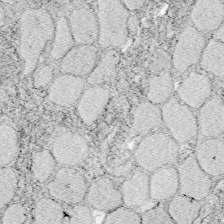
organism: Zebrafish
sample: Whole-Brain